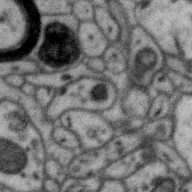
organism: Zebra finch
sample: Brain